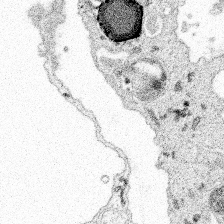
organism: Spongilla lacustris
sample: Multiple